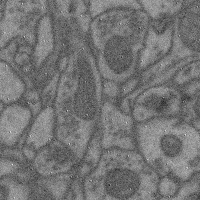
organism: Mouse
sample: Cerebral cortex